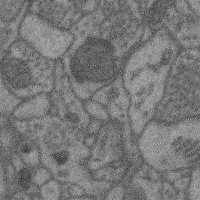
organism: Mouse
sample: Cerebral cortex